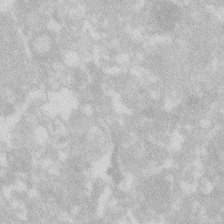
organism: Zebrafish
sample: Macrophage